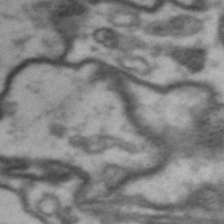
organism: Drosophila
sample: Brain